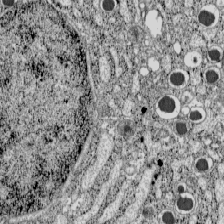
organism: C57BL Mouse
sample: Pancreatic islet